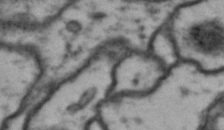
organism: Drosophila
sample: Brain